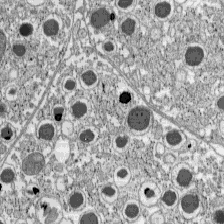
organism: C57BL Mouse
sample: Pancreatic islet